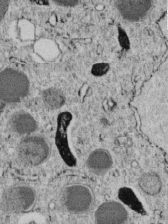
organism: C. elegans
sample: C. elegans embryo early stage